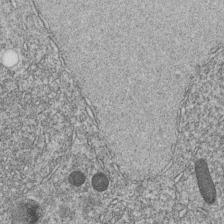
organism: C. elegans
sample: C. elegans embryo early stage